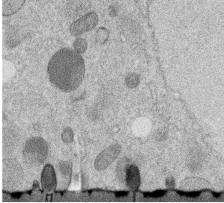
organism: C. elegans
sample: C. elegans embryo early stage